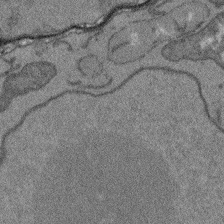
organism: Arabidopsis thaliana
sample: Root tip